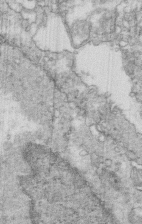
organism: Mouse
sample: Multiciliated cells